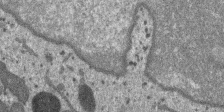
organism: Human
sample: Lung epithelial cells infected with SARS-CoV-2